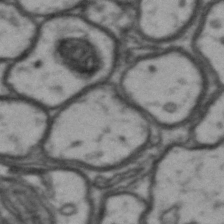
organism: Drosophila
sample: Brain